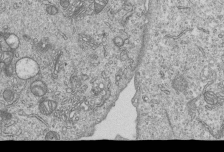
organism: Human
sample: MDA-MB-231 cells